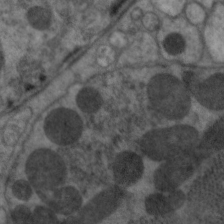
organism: C. elegans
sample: Pharynx